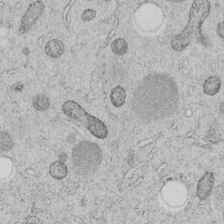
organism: C. elegans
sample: C. elegans embryo early stage